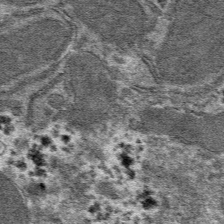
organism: Mouse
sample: Mouse hepatocytes